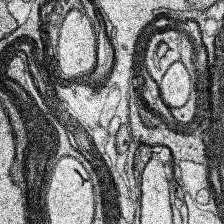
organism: Human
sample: Temporal Lobe